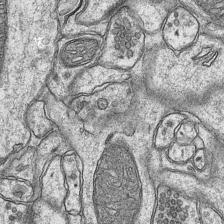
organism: Mouse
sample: CA1 Hippocampus